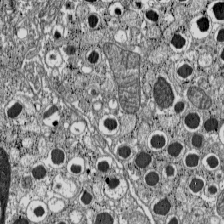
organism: C57BL Mouse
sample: Pancreatic islet